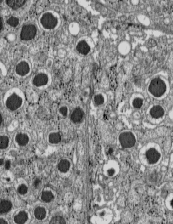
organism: C57BL Mouse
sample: Pancreatic islet